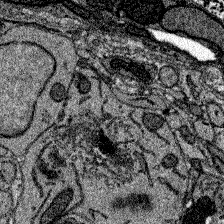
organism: Zebrafish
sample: Larval olfactory bulb